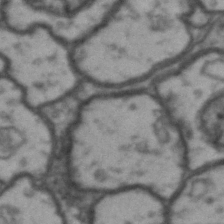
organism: Drosophila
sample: Brain